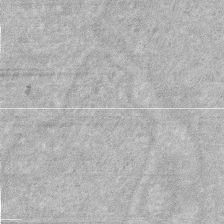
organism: Human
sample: HIV infected U937 cells